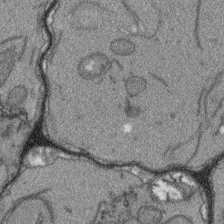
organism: Arabidopsis thaliana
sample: Root tip